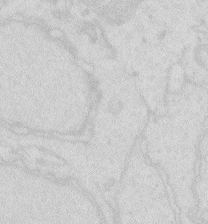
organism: Zebrafish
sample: Macrophage